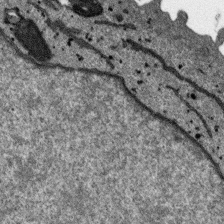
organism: Human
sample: Lung epithelial cells, uninfected (mock) control